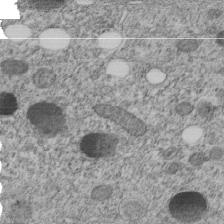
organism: C. elegans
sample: C. elegans embryo early stage